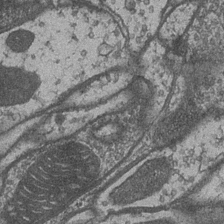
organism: Drosophila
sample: Optic medulla